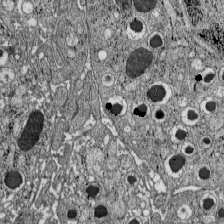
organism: C57BL Mouse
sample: Pancreatic islet